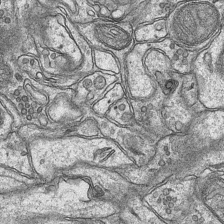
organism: Mouse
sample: CA1 Hippocampus